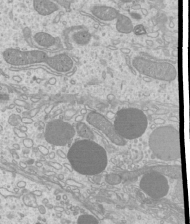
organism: Mouse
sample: Cilia; mouse epididymis